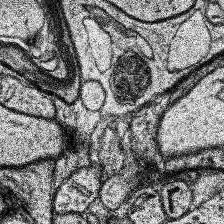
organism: Human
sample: Temporal Lobe